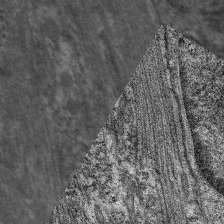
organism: C. elegans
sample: Pharynx